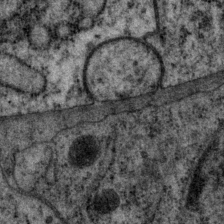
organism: P. pacificus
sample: Pharynx